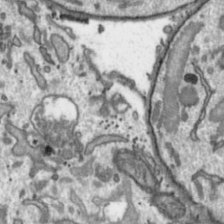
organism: Toxoplasma gondii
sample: Parasites in a vacuole inside a host cell